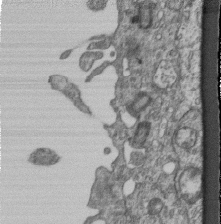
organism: Mouse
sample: Centriole in ependymal cells